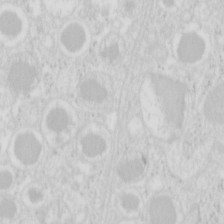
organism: Mouse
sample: Pancreas